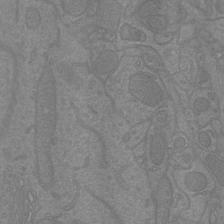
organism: Mouse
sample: Cortical neurons